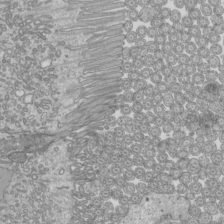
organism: Mouse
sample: Cilia; mouse epididymis